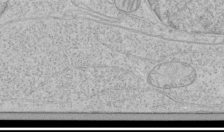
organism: Human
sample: Mitochondria in HCT116 cells